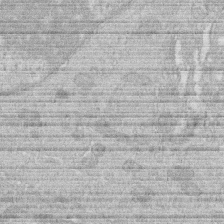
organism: Human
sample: Macrophage cells